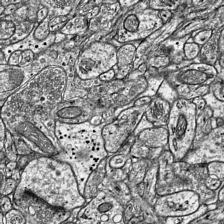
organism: Mouse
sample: Visual Cortex